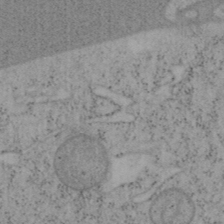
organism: Mouse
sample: OT-I killer T cells with ID8 ovarian cancer cells